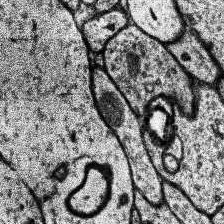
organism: Human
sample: Temporal Lobe